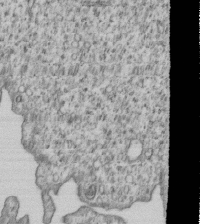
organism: Human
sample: MDA-MB-231 cells